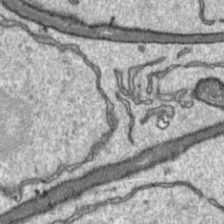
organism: Toxoplasma gondii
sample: Parasites in a vacuole inside a host cell